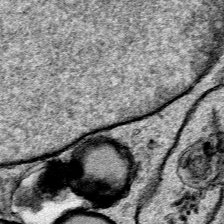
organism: Human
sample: Mitochondria in HCT116 cells